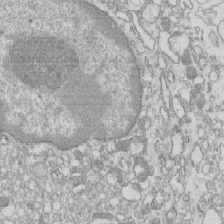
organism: Mouse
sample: Macrophages